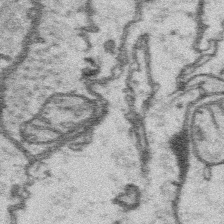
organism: Platynereis dumerilii